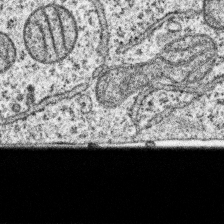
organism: Human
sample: HeLa cells